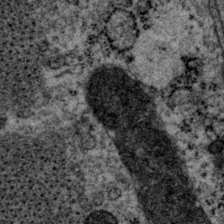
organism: P. pacificus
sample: Pharynx